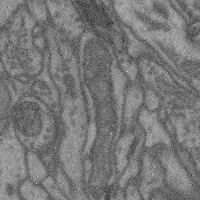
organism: Mouse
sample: Cerebral cortex